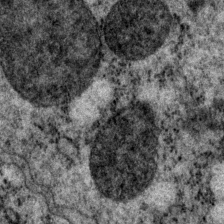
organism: P. pacificus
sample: Pharynx